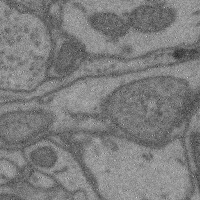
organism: Mouse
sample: Cerebral cortex